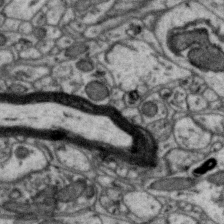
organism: Zebra finch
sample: Brain